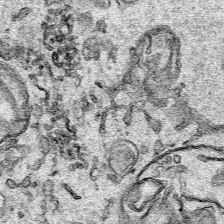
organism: Human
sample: Mitochondria in HCT116 cells